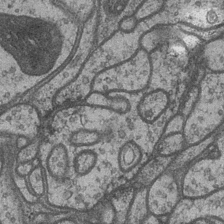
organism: Drosophila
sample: Optic medulla